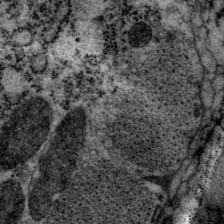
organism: P. pacificus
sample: Pharynx